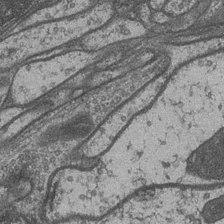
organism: Drosophila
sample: Optic medulla